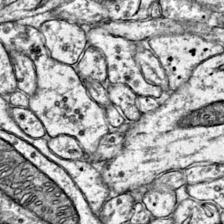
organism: Mouse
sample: Primary visual cortex